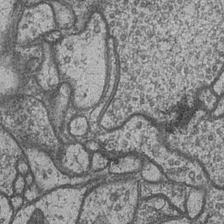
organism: Drosophila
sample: Optic medulla